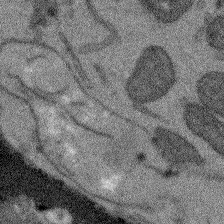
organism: Arabidopsis thaliana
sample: Root tip